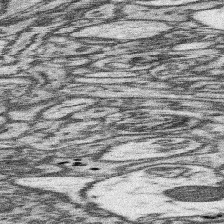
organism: Mouse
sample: Somatosensory cortex neuropil